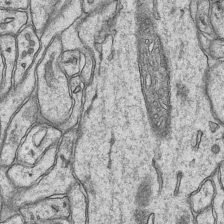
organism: Mouse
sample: CA1 Hippocampus